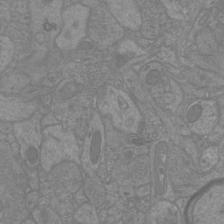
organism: Mouse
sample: Cortical neurons